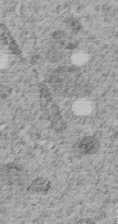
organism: C. elegans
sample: C. elegans embryo early stage